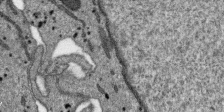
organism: Human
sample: Lung epithelial cells, uninfected (mock) control